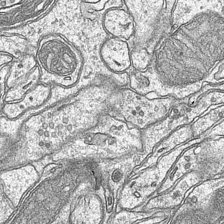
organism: Mouse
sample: CA1 Hippocampus